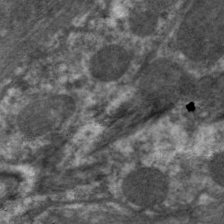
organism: C. elegans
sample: Pharynx